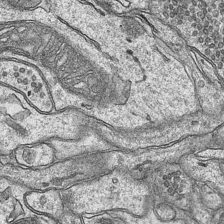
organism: Mouse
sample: CA1 Hippocampus